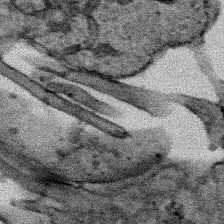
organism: Human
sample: Mitochondria in HCT116 cells